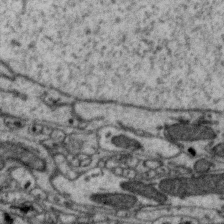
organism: Zebra finch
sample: Brain